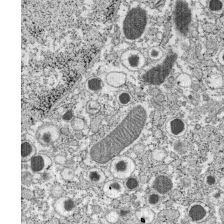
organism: C57BL Mouse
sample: Pancreatic islet